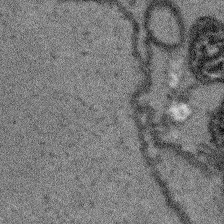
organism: Arabidopsis thaliana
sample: Root tip